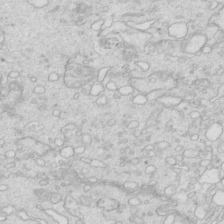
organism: Mouse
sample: Multiciliated cells